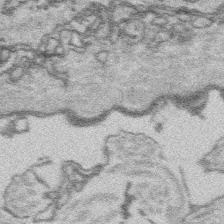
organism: Platynereis dumerilii